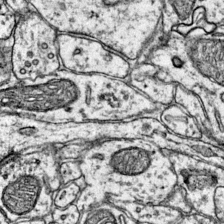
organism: Mouse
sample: Primary visual cortex